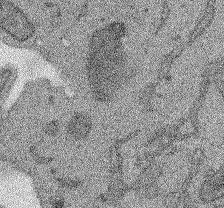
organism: Human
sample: HeLa cells